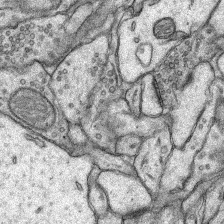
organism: Rat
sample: Hippocampus